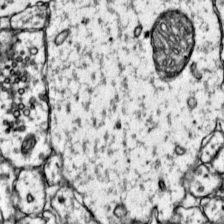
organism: Mouse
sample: Primary visual cortex